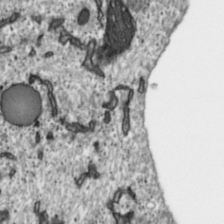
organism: Toxoplasma gondii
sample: Parasites in a vacuole inside a host cell